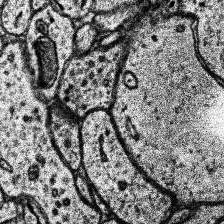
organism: Human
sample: Temporal Lobe